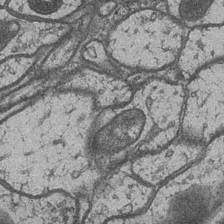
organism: Drosophila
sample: Optic medulla